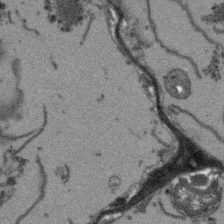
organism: Arabidopsis thaliana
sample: Root tip